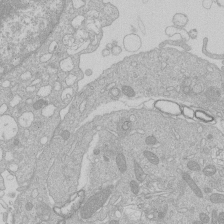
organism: Human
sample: Macrophage cells